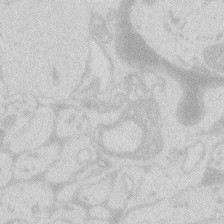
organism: Zebrafish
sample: Macrophage